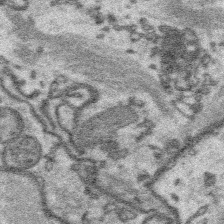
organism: Platynereis dumerilii